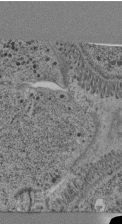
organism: C. elegans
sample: C. elegans pharynx